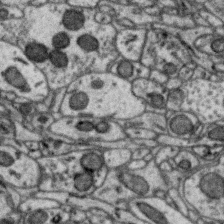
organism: Zebra finch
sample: Brain